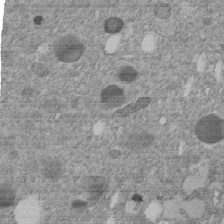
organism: C. elegans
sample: C. elegans embryo early stage